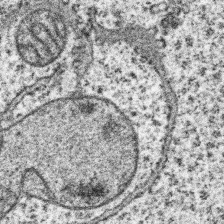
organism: Human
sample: HeLa cells